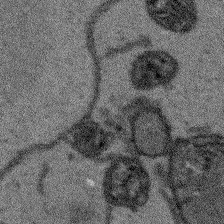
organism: Arabidopsis thaliana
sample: Root tip